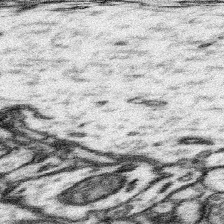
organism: Mouse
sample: Somatosensory cortex neuropil